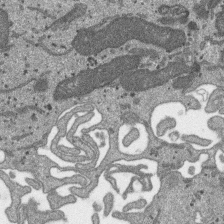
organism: Human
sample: Lung epithelial cells infected with SARS-CoV-2